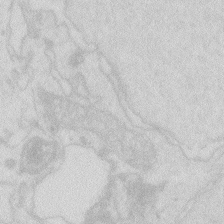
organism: Zebrafish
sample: Macrophage